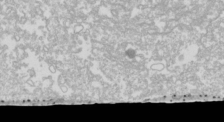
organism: Drosophila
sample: Cell division; meiosis; drosophila spermatocytes